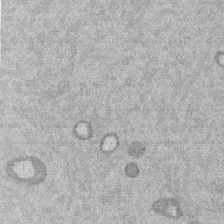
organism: Mouse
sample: Dividing mouse embryo 1 cell stage